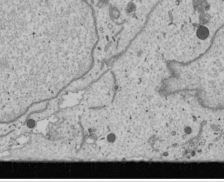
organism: Human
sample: Mitochondria in U2OS cells